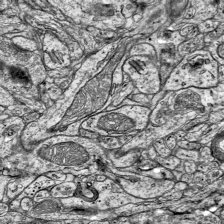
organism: Mouse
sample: Visual Cortex